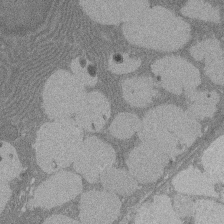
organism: Rat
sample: Salivary granule